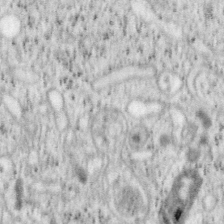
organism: Mouse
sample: OT-I killer T cells with ID8 ovarian cancer cells